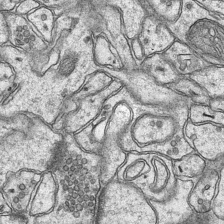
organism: Mouse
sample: CA1 Hippocampus